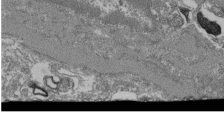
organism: Mouse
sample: Glomerulus